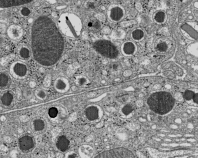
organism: C57BL Mouse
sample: Pancreatic islet